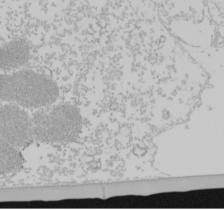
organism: Mouse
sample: Cancer cell death in ED-1 cells